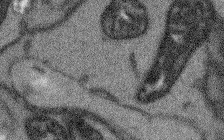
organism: Arabidopsis thaliana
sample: Root tip